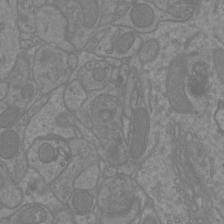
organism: Mouse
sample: Cortical neurons